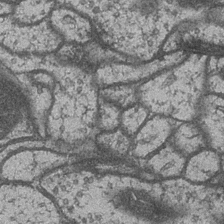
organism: Drosophila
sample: Optic medulla